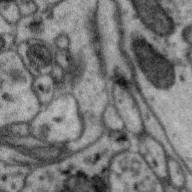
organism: Zebra finch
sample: Brain